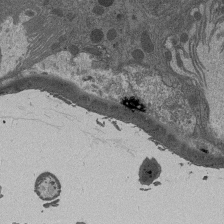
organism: Drosophila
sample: Antenna